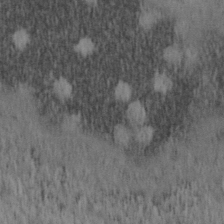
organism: Mouse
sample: OT-I killer T cells with ID8 ovarian cancer cells